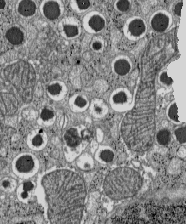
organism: C57BL Mouse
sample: Pancreatic islet